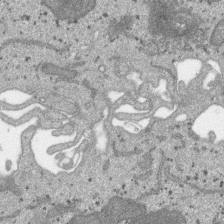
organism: Human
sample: Lung epithelial cells infected with SARS-CoV-2